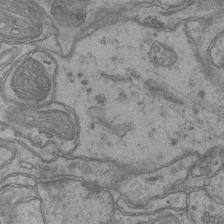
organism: Mouse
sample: CA1 Hippocampus